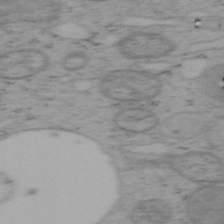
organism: Mouse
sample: OT-I killer T cells with ID8 ovarian cancer cells